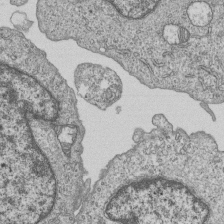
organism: Human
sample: MDA-MB-231 cells